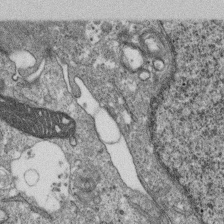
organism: African green monkey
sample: Vero E6 cells infected with SARS-CoV-2